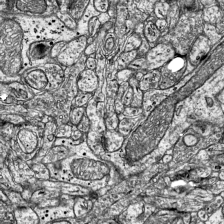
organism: Mouse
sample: Visual Cortex